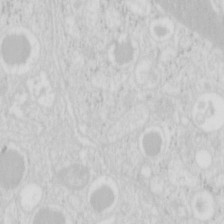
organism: Mouse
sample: Pancreas